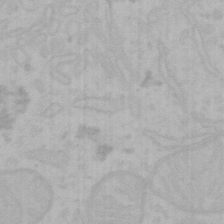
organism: Mouse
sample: Choroid plexus